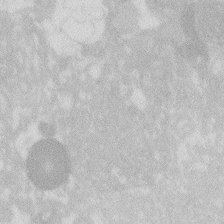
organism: Zebrafish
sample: Macrophage